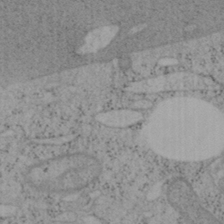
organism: Mouse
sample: OT-I killer T cells with ID8 ovarian cancer cells